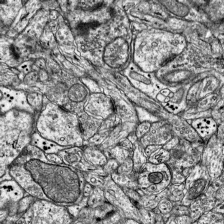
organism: Mouse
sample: Visual Cortex